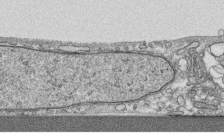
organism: Human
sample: CRL-1474